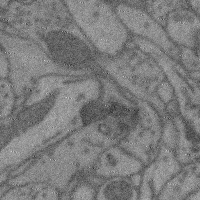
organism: Mouse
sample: Cerebral cortex